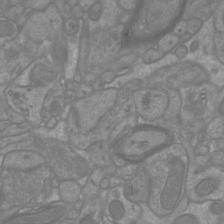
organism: Mouse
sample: Cortical neurons